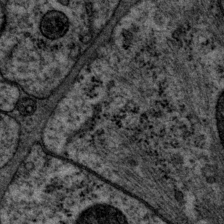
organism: P. pacificus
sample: Pharynx